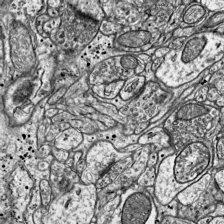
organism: Mouse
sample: Visual Cortex